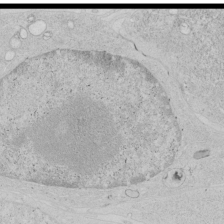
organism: Human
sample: Mitochondria in HCT116 cells